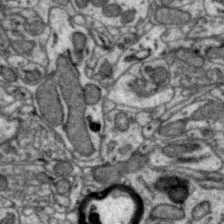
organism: Zebra finch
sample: Brain